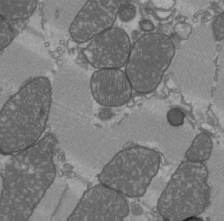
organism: C57BL Mouse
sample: Heart